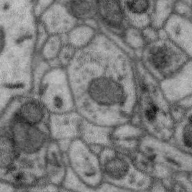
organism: Zebra finch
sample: Brain